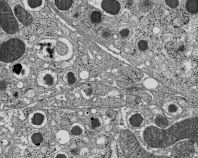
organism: C57BL Mouse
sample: Pancreatic islet